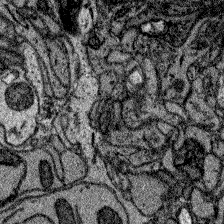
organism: Zebrafish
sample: Larval olfactory bulb